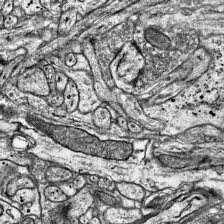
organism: Mouse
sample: Visual Cortex